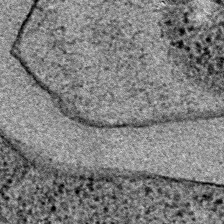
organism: E. coli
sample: E. Coli Bacteria